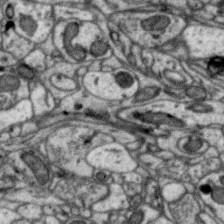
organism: Zebra finch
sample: Brain